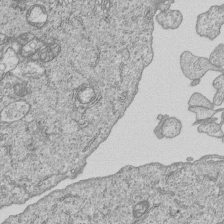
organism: Human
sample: MDA-MB-231 cells